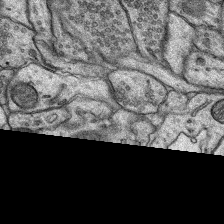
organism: Rat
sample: Hippocampus